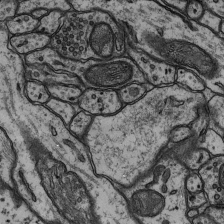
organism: Rat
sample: Hippocampus